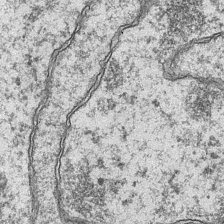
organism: Mouse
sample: CA1 Hippocampus